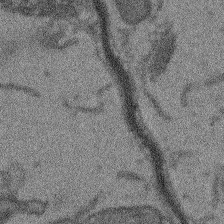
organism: Arabidopsis thaliana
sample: Root tip